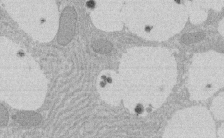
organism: Rat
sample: Salivary granule